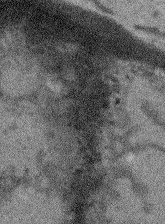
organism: Arabidopsis thaliana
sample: Root tip